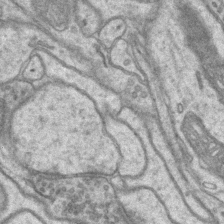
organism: Mouse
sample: CA1 Hippocampus